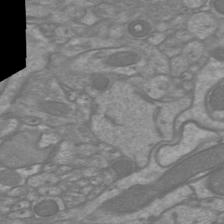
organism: Mouse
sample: Cortical neurons